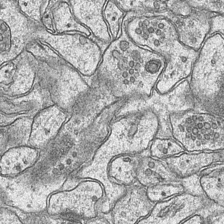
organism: Mouse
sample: CA1 Hippocampus